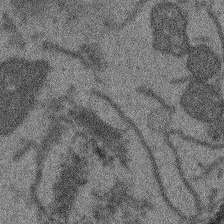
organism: Arabidopsis thaliana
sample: Root tip